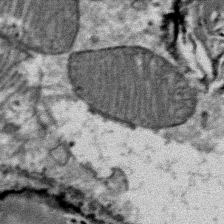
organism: Mouse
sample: Mouse Salivary gland